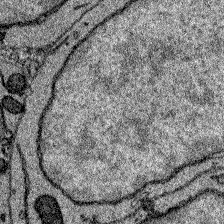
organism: Zebrafish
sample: Larval olfactory bulb